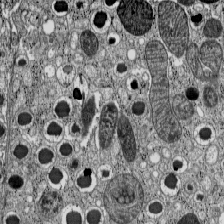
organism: C57BL Mouse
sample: Pancreatic islet